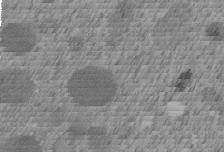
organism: C. elegans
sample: C. elegans embryo early stage